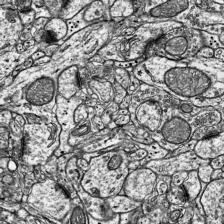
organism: Mouse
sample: Visual Cortex